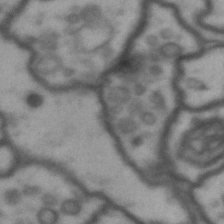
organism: Drosophila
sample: Brain